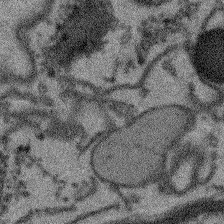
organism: Arabidopsis thaliana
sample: Root tip